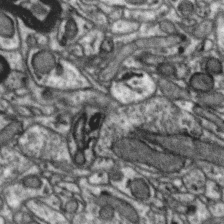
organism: Zebra finch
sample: Brain